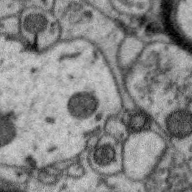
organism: Zebra finch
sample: Brain